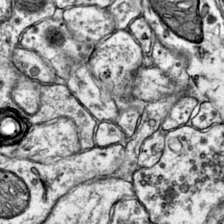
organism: Mouse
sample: Primary visual cortex